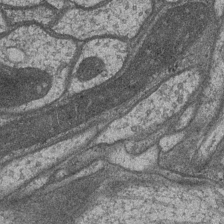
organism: Drosophila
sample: Optic medulla